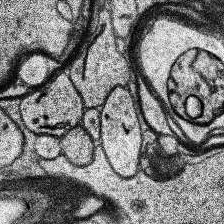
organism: Human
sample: Temporal Lobe